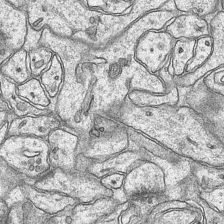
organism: Mouse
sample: CA1 Hippocampus